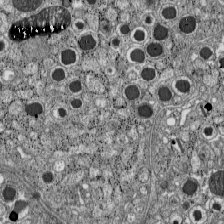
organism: C57BL Mouse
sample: Pancreatic islet